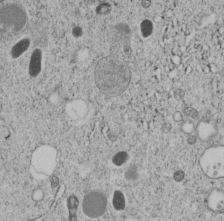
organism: C. elegans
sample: C. elegans embryo early stage